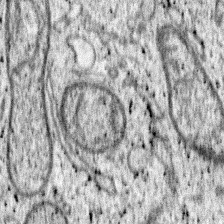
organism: Human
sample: HeLa cells